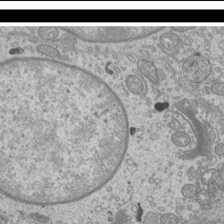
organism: Mouse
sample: Cilia; mouse epididymis